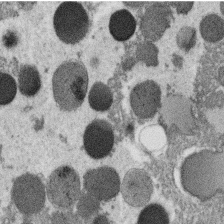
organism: C. elegans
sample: C. elegans oocyte; sperm cells